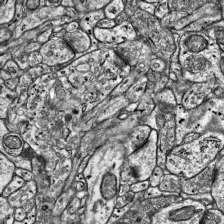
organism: Mouse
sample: Visual Cortex